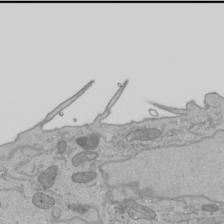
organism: Human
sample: Mitochondria in HCT116 cells